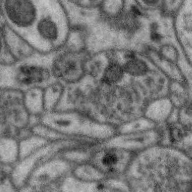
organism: Zebra finch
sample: Brain